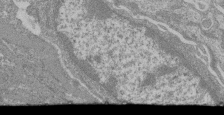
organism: Mouse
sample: Glomerulus